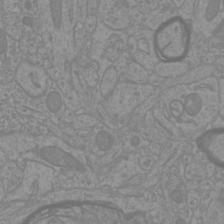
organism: Mouse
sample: Cortical neurons